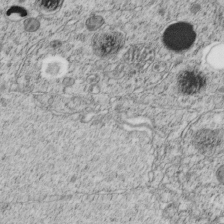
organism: C. elegans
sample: C. elegans embryo early stage